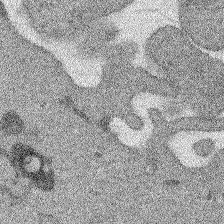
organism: Human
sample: HeLa cells